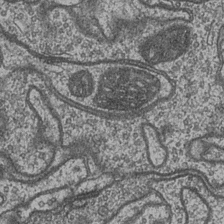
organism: Drosophila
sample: Optic medulla